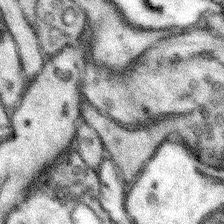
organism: Mouse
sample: Somatosensory cortex neuropil